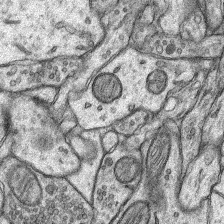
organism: Rat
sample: Hippocampus